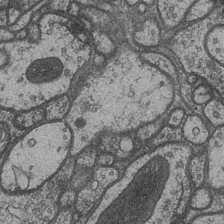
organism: Drosophila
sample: Optic medulla